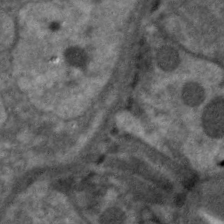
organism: C. elegans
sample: Pharynx